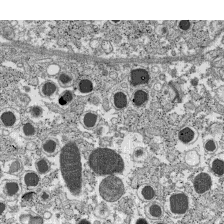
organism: C57BL Mouse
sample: Pancreatic islet